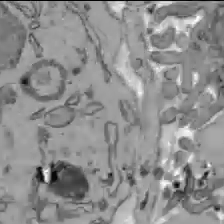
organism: C57BL Mouse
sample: Liver